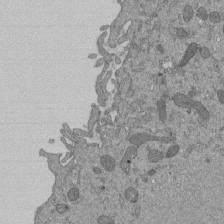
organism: Mouse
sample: ED-1 cell nuclei; centrioles